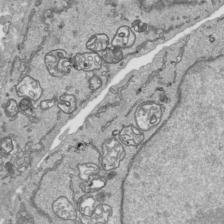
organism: Human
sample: Mitochondria in HCT116 cells